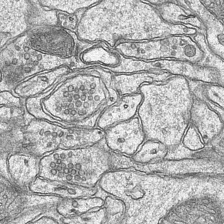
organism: Mouse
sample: CA1 Hippocampus